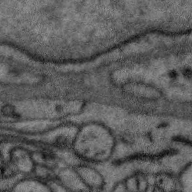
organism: Zebra finch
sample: Brain